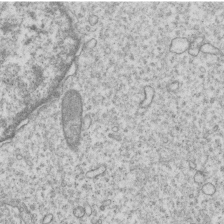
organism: Human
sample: MDA-MB-231 cells